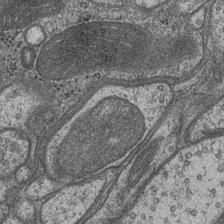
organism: Drosophila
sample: Optic medulla